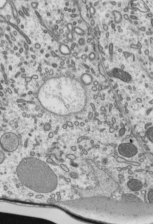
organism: Mouse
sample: Mouse epididymis efferent ductule cilia